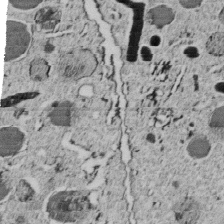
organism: C. elegans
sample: C. elegans embryo early stage